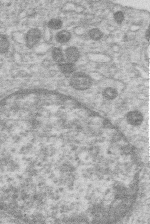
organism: Human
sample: Macrophage cells